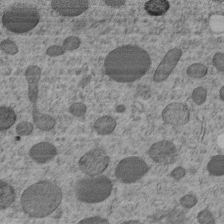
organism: C. elegans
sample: C. elegans embryo early stage